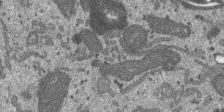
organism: Human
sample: Lung epithelial cells infected with SARS-CoV-2